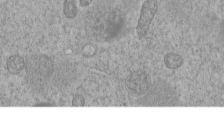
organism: C. elegans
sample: C. elegans embryo early stage